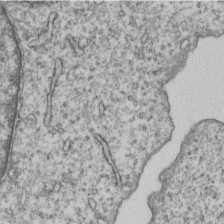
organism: Human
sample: MDA-MB-231 cells